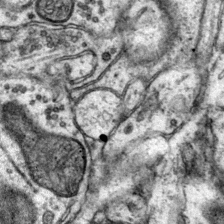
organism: Mouse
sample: Primary visual cortex